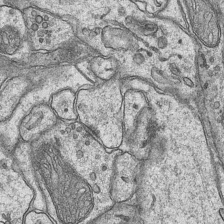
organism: Mouse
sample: CA1 Hippocampus